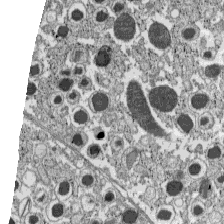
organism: C57BL Mouse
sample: Pancreatic islet